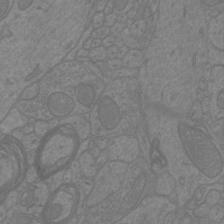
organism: Mouse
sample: Cortical neurons